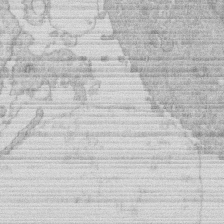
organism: Human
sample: Macrophage cells